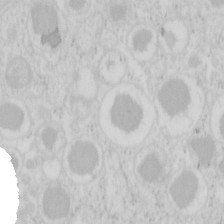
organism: Mouse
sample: Pancreas